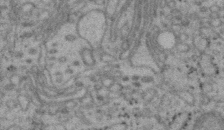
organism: Human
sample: HeLa cells